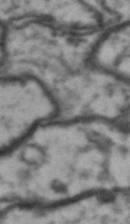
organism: Drosophila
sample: Brain